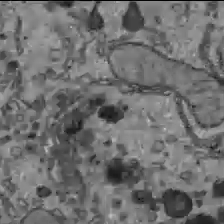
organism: C57BL Mouse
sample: Liver